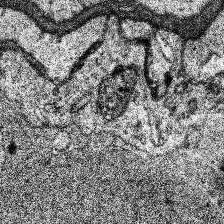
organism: Human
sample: Temporal Lobe